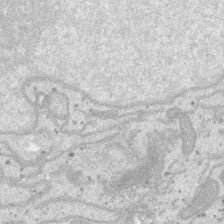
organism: Human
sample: Lung epithelial cells infected with SARS-CoV-2